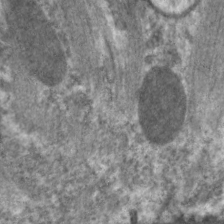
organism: C. elegans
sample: Pharynx